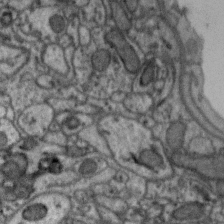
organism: Zebra finch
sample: Brain